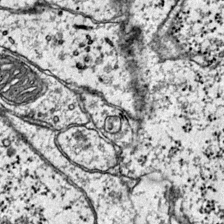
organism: Mouse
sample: Primary visual cortex